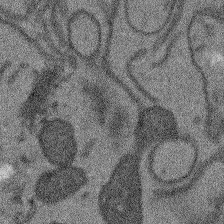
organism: Arabidopsis thaliana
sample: Root tip